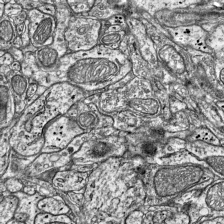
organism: Mouse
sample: Visual Cortex